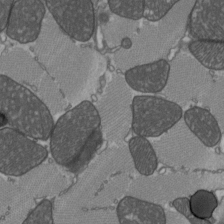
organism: C57BL Mouse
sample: Heart